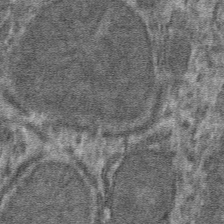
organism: Mouse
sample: Mouse hepatocytes